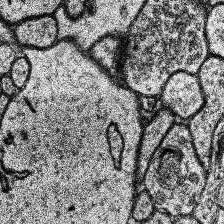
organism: Human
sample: Temporal Lobe